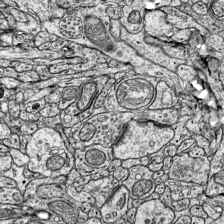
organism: Mouse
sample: Visual Cortex